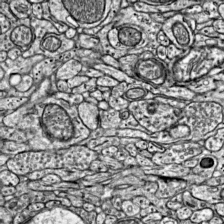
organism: Mouse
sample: Visual Cortex